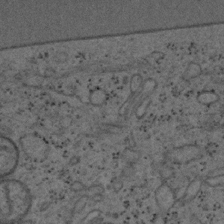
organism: Human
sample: HeLa cells